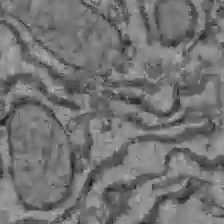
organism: C57BL Mouse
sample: Liver